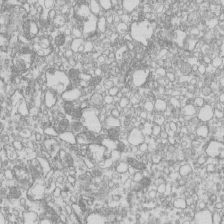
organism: Mouse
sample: Macrophages